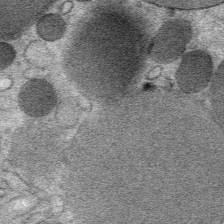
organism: Mouse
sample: Mouse Salivary gland